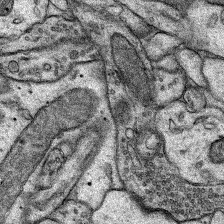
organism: Rat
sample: Hippocampus